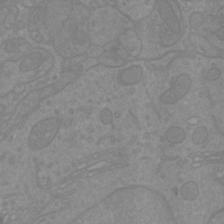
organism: Mouse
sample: Cortical neurons